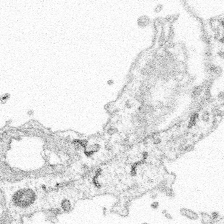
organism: Spongilla lacustris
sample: Multiple